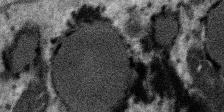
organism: Human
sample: Lung epithelial cells infected with SARS-CoV-2